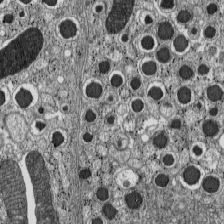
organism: C57BL Mouse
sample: Pancreatic islet